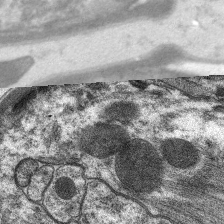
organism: C. elegans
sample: Pharynx